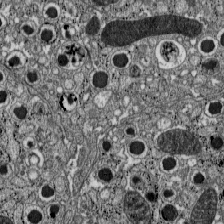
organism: C57BL Mouse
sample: Pancreatic islet